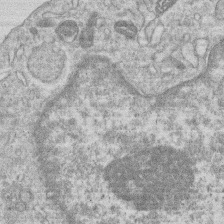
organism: Human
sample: Macrophage cells